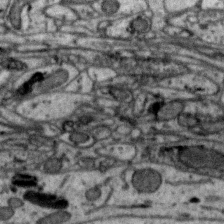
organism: Zebra finch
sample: Brain